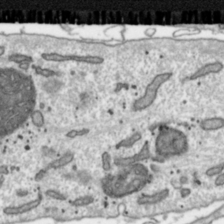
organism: Toxoplasma gondii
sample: Parasites in a vacuole inside a host cell